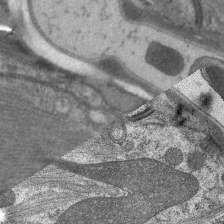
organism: C. elegans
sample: Pharynx